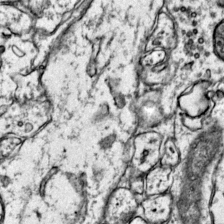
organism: Mouse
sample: Primary visual cortex